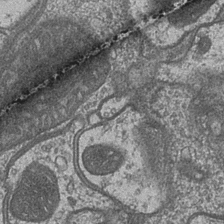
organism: Drosophila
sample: Optic medulla